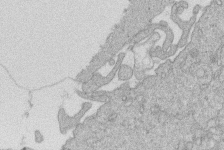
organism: Human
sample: Macrophage cells